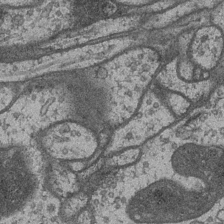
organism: Drosophila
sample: Optic medulla